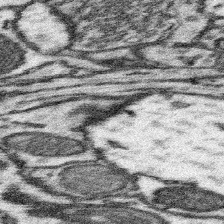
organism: Mouse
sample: Somatosensory cortex neuropil